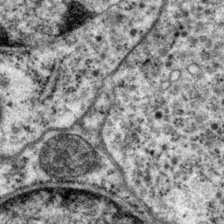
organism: P. pacificus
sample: Pharynx